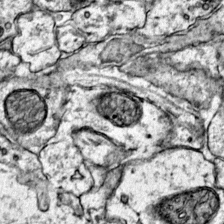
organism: Mouse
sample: Primary visual cortex